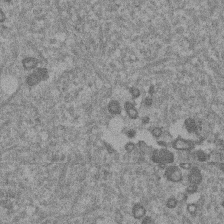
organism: Mouse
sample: Dividing mouse embryo 1 cell stage